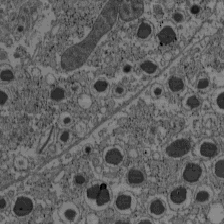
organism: C57BL Mouse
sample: Pancreatic islet